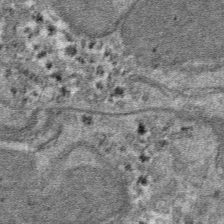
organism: Mouse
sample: Mouse hepatocytes